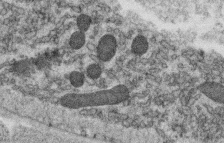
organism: C. elegans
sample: C. elegans oocyte; sperm cells